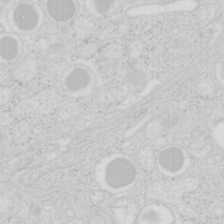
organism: Mouse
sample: Pancreas